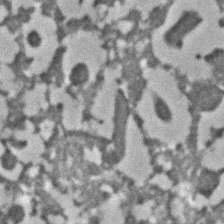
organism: C. elegans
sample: C. elegans embryo